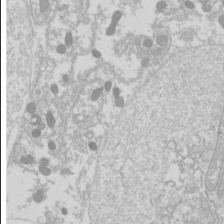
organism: Drosophila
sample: Cell division; meiosis; drosophila spermatocytes